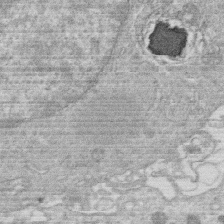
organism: Human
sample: Macrophage cells